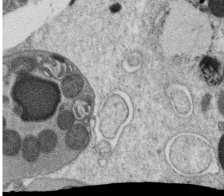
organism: C. elegans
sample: C. elegans oocyte; sperm cells